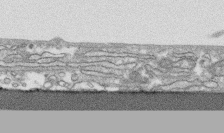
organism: Human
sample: CRL-1474